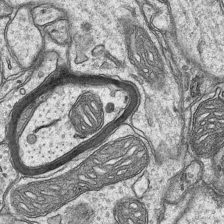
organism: Mouse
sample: CA1 Hippocampus